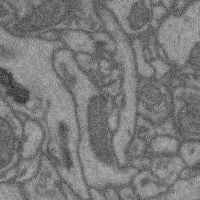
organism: Mouse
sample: Cerebral cortex